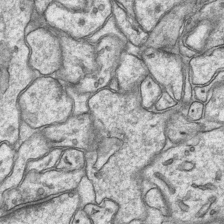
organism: Mouse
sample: CA1 Hippocampus